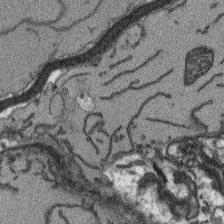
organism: Arabidopsis thaliana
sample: Root tip